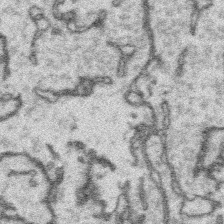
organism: Platynereis dumerilii